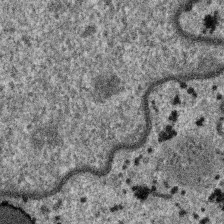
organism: Human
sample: Lung epithelial cells infected with SARS-CoV-2